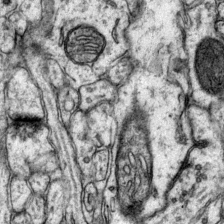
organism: Mouse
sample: Primary visual cortex